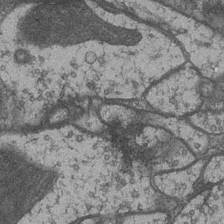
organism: Drosophila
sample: Optic medulla